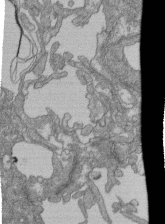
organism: Human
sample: Retinal organoid Rod and Cone cells